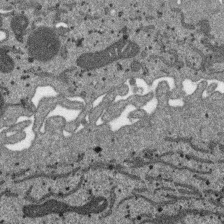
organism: Human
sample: Lung epithelial cells infected with SARS-CoV-2